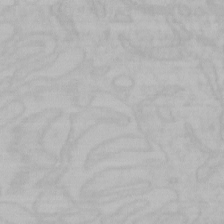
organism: Mouse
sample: Choroid plexus